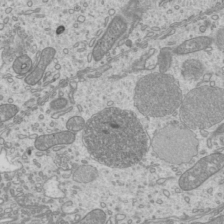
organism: Mouse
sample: Cilia; mouse epididymis